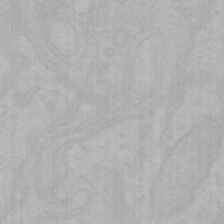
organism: Mouse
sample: Choroid plexus